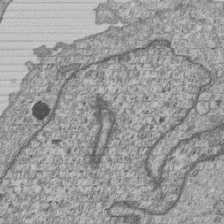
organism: Human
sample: MDA-MB-231 cells